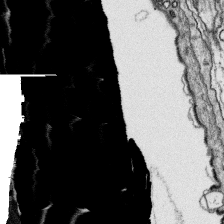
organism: Platynereis dumerilii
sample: Parapodia